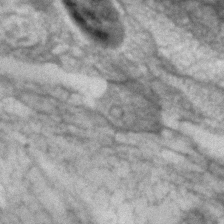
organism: Human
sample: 1205lu cells